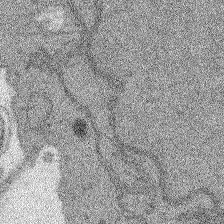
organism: Human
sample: HeLa cells